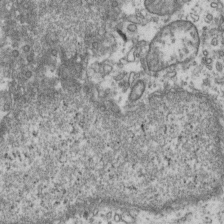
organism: Human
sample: Activated Jurkat CD4+ T cells